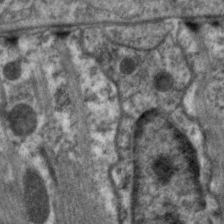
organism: C. elegans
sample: Pharynx